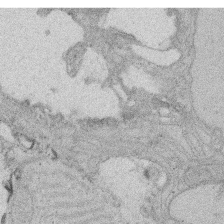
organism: Rat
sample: Salivary granule